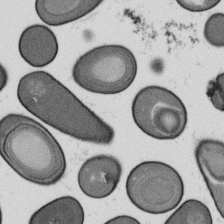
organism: B. subtilis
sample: Bacterial spore